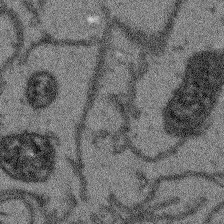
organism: Arabidopsis thaliana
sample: Root tip